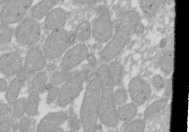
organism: Xenopus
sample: Cilia; centrioles in frog embryo cells